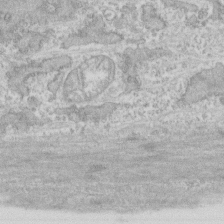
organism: Human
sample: CRL-1474